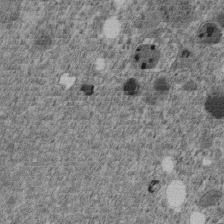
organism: C. elegans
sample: C. elegans embryo early stage